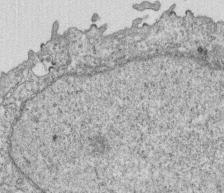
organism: Human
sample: HeLa cell HIV synapse